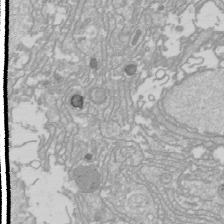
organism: Drosophila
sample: Cell division; meiosis; drosophila spermatocytes